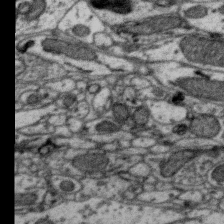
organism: Zebra finch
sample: Brain